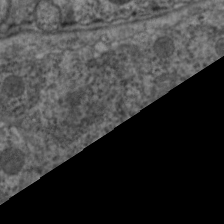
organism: C. elegans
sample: Pharynx